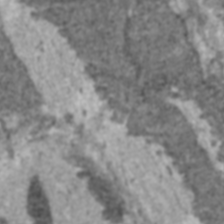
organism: C57BL Mouse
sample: Heart